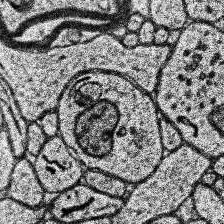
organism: Human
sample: Temporal Lobe